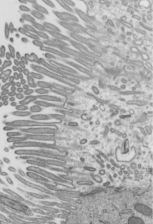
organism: Mouse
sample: Mouse epididymis efferent ductule cilia